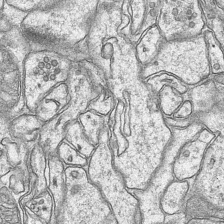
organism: Mouse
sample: CA1 Hippocampus